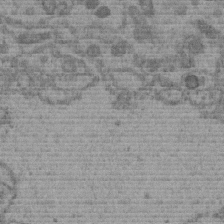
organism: C. elegans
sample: C. elegans embryo early stage